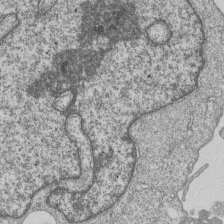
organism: Human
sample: MDA-MB-231 cells